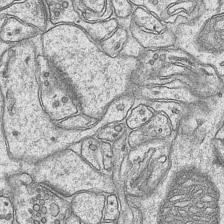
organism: Mouse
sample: CA1 Hippocampus